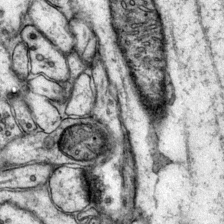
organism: Mouse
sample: Primary visual cortex